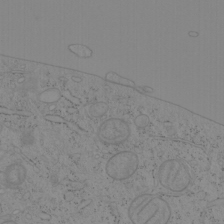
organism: Human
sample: HeLa cells